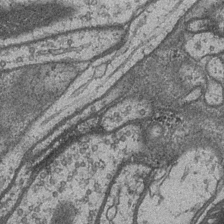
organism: Drosophila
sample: Optic medulla